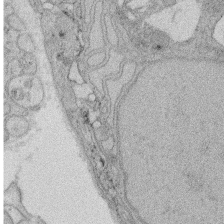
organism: Rat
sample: Salivary granule